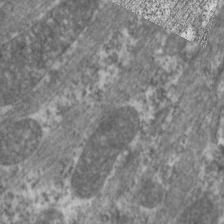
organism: C. elegans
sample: Pharynx